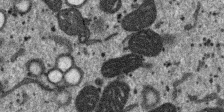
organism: Human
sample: Lung epithelial cells infected with SARS-CoV-2